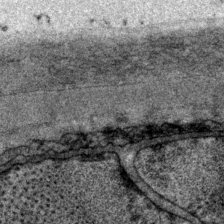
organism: P. pacificus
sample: Pharynx